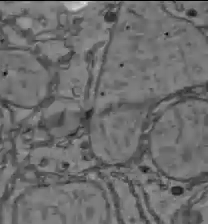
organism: C57BL Mouse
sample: Liver